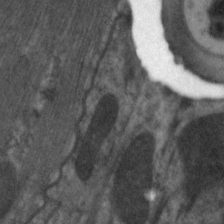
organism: C. elegans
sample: Pharynx